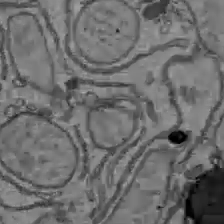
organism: C57BL Mouse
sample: Liver